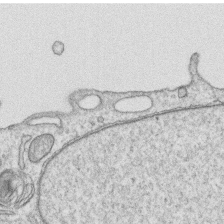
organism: Human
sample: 1205lu cells